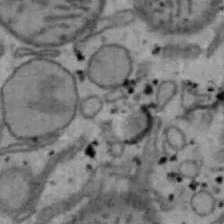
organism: Mouse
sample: Liver